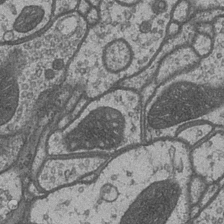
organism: Drosophila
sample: Optic medulla